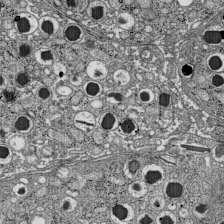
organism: C57BL Mouse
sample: Pancreatic islet